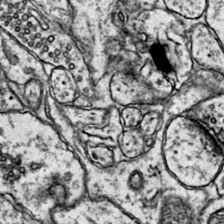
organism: Mouse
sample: Primary visual cortex